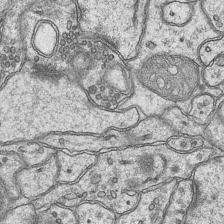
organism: Mouse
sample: CA1 Hippocampus